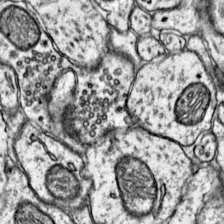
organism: Mouse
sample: Primary visual cortex